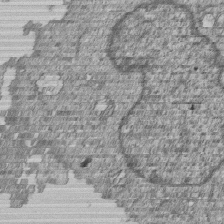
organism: Human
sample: MDA-MB-231 cells